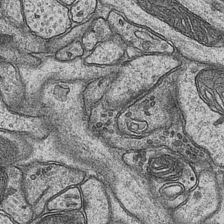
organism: Mouse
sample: CA1 Hippocampus